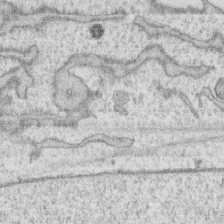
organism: Human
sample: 1205lu cells